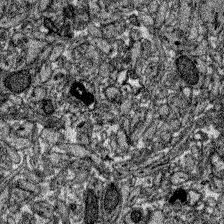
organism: Zebrafish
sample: Larval olfactory bulb